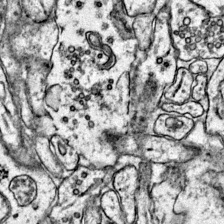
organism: Mouse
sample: Primary visual cortex